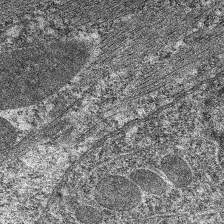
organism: C. elegans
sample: Pharynx